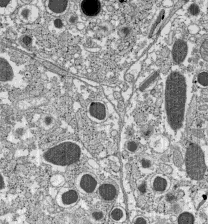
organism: C57BL Mouse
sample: Pancreatic islet